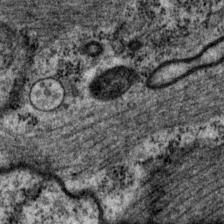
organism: P. pacificus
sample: Pharynx